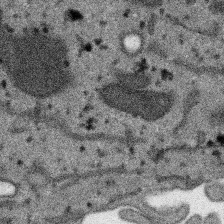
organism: Human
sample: Lung epithelial cells infected with SARS-CoV-2